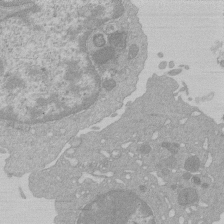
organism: Mouse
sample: Activated Pmel transgenic CD8+ T Cells